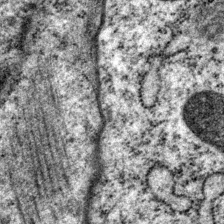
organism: P. pacificus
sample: Pharynx